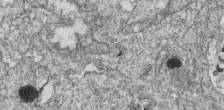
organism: Human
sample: HeLa cell HIV synapse